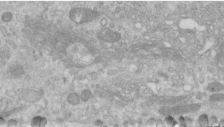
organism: Human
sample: Centriole in RPE cells